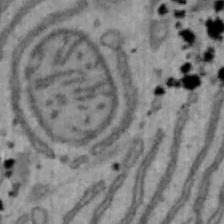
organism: Mouse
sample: Liver